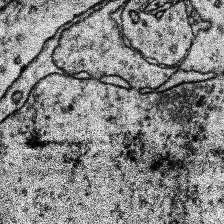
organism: Human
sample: Temporal Lobe